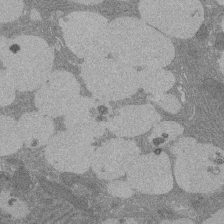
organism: Rat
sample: Salivary granule